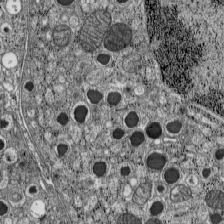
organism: C57BL Mouse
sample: Pancreatic islet